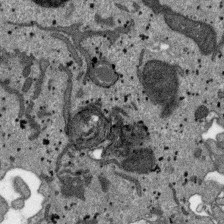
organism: Human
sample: Lung epithelial cells, uninfected (mock) control